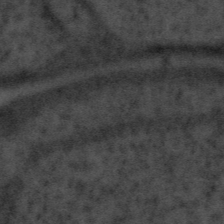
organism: Tuwongella immobilis